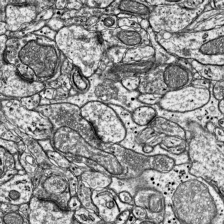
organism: Mouse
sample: Visual Cortex